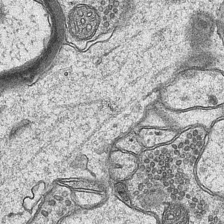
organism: Mouse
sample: CA1 Hippocampus